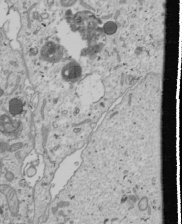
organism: Human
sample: Mitochondria in U2OS cells